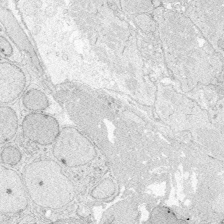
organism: Zebrafish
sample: Whole-Brain